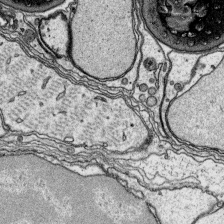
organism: Platynereis dumerilii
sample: Parapodia